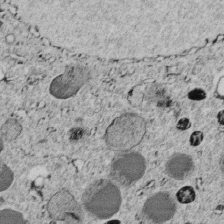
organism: C. elegans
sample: C. elegans embryo early stage